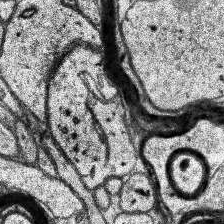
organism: Human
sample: Temporal Lobe